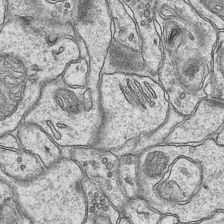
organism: Mouse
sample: CA1 Hippocampus